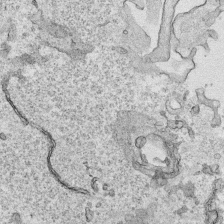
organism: Human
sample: Mitochondria in HCT116 cells